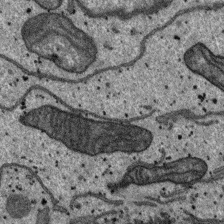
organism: Human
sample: Lung epithelial cells, uninfected (mock) control